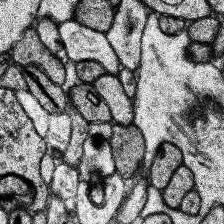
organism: Human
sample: Temporal Lobe